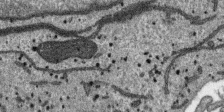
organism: Human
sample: Lung epithelial cells, uninfected (mock) control